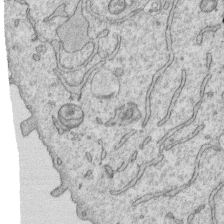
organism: Human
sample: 1205lu cells